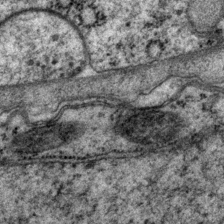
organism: P. pacificus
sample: Pharynx